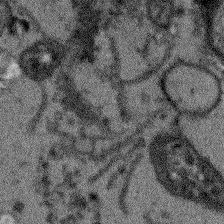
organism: Arabidopsis thaliana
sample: Root tip